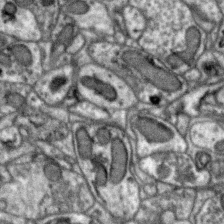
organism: Zebra finch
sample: Brain